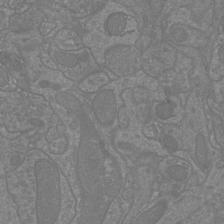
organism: Mouse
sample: Cortical neurons